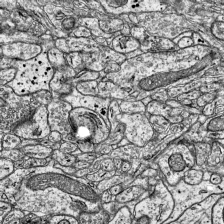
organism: Mouse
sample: Visual Cortex